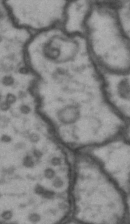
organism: Drosophila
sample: Brain